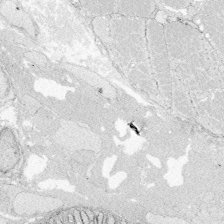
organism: Zebrafish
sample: Whole-Brain